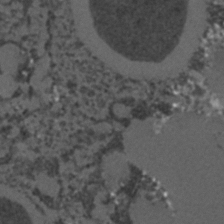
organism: C. elegans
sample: C. elegans embryo